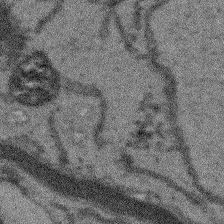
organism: Arabidopsis thaliana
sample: Root tip